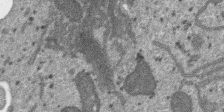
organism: Human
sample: Lung epithelial cells infected with SARS-CoV-2